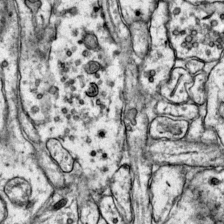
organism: Mouse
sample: Primary visual cortex